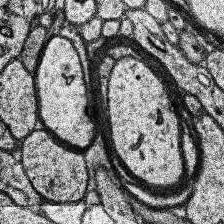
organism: Human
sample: Temporal Lobe